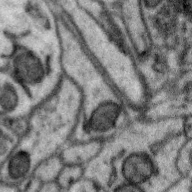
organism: Zebra finch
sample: Brain